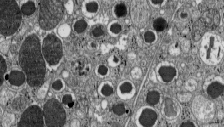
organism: C57BL Mouse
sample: Pancreatic islet